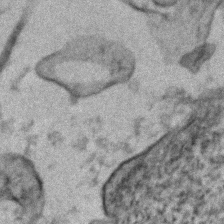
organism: Human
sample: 1205lu cells